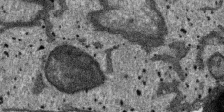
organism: Human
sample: Lung epithelial cells, uninfected (mock) control